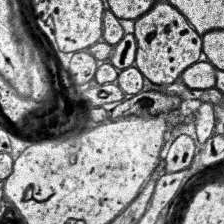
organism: Human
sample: Temporal Lobe